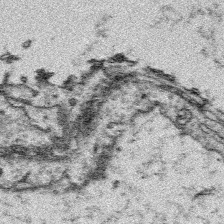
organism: Platynereis dumerilii